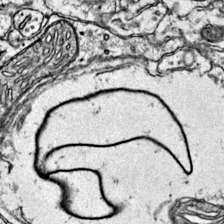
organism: Mouse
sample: Primary visual cortex